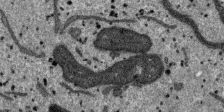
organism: Human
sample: Lung epithelial cells, uninfected (mock) control